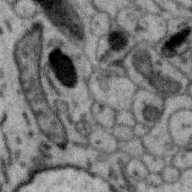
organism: Zebra finch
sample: Brain